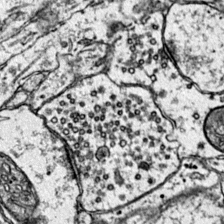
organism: Mouse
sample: Primary visual cortex